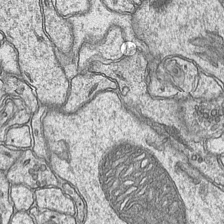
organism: Mouse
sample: CA1 Hippocampus